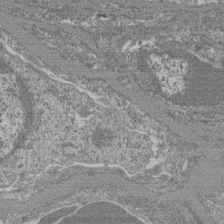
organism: Mouse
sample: Glomerulus